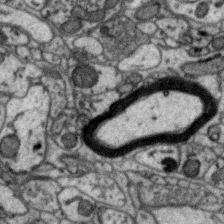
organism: Zebra finch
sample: Brain